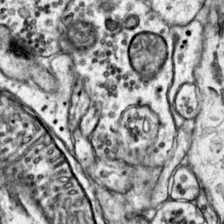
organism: Mouse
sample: Primary visual cortex